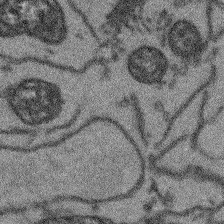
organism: Arabidopsis thaliana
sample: Root tip